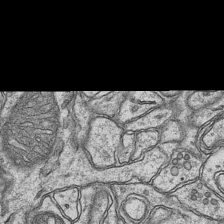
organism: Mouse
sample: CA1 Hippocampus